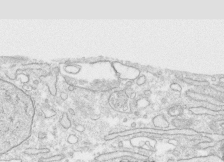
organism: Human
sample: CRL-1474